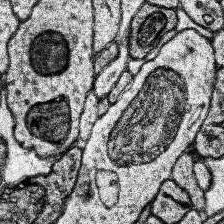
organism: Human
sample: Temporal Lobe